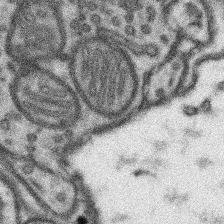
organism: Mouse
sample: Somatosensory cortex neuropil